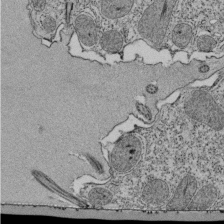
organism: Tetrahymena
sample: Cilia in tetrahymena